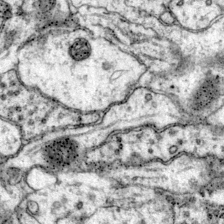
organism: Mouse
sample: Primary visual cortex